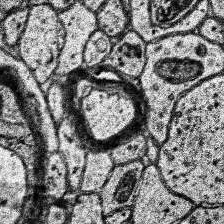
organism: Human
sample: Temporal Lobe